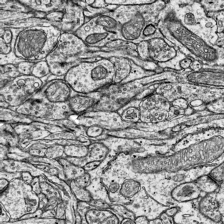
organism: Mouse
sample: Visual Cortex